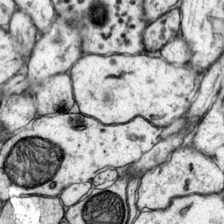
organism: Mouse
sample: Primary visual cortex